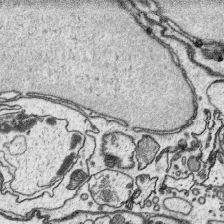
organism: Platynereis dumerilii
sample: Parapodia